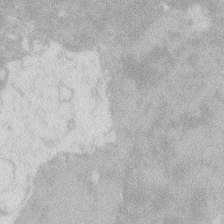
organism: Zebrafish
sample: Macrophage